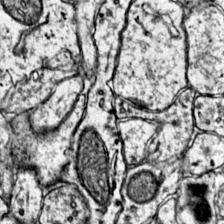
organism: Mouse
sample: Primary visual cortex